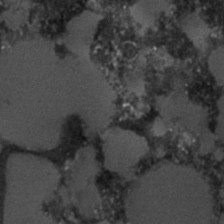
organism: C. elegans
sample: C. elegans embryo